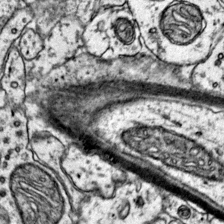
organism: Mouse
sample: Primary visual cortex